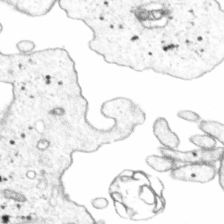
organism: Human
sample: HeLa cells